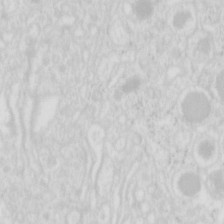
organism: Mouse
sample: Pancreas